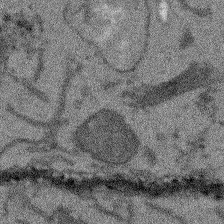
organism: Arabidopsis thaliana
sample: Root tip